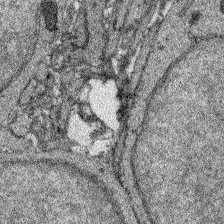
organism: Zebrafish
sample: Larval olfactory bulb